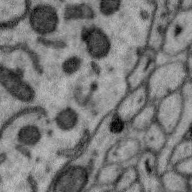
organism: Zebra finch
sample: Brain